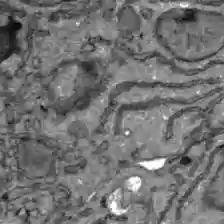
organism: C57BL Mouse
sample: Liver